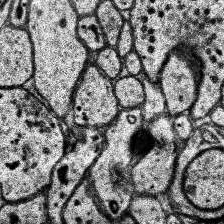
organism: Human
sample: Temporal Lobe